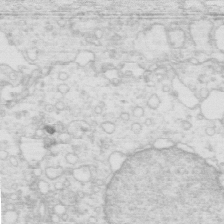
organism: Mouse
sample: Multiciliated cells